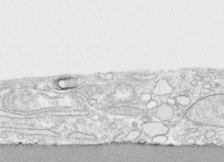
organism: Human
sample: CRL-1474